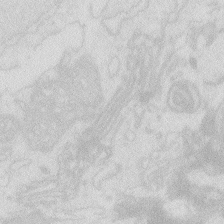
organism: Zebrafish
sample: Macrophage